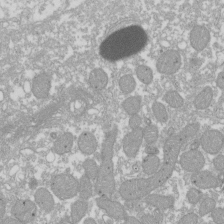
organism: Xenopus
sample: Cilia; centrioles in frog embryo cells